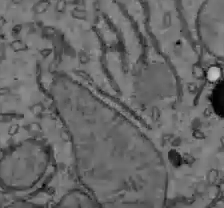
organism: C57BL Mouse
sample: Liver